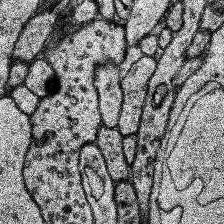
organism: Human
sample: Temporal Lobe